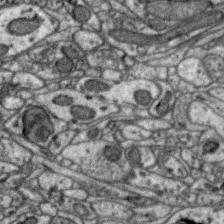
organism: Zebra finch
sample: Brain